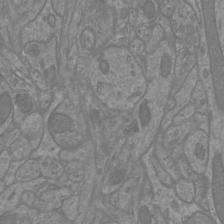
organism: Mouse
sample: Cortical neurons